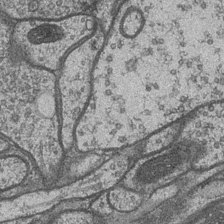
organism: Drosophila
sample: Optic medulla